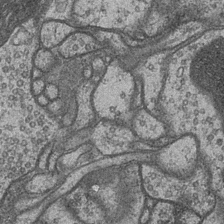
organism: Drosophila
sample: Optic medulla